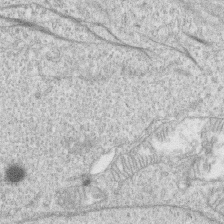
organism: Human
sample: HeLa cell HIV synapse